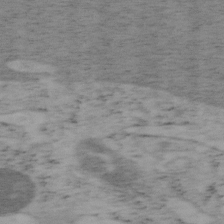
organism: Mouse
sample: OT-I killer T cells with ID8 ovarian cancer cells